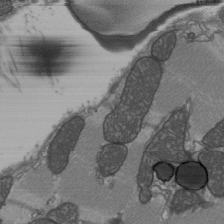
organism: C57BL Mouse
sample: Heart